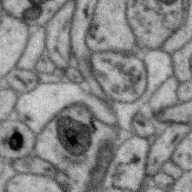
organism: Zebra finch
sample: Brain